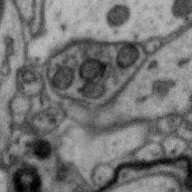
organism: Zebra finch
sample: Brain